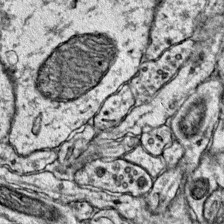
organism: Mouse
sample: Primary visual cortex